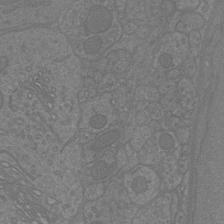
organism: Mouse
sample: Cortical neurons